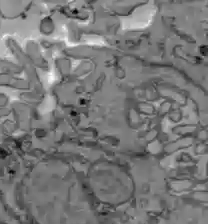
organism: C57BL Mouse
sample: Liver